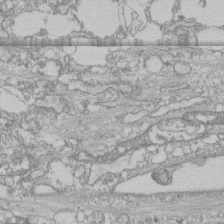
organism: Human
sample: CRL-1474